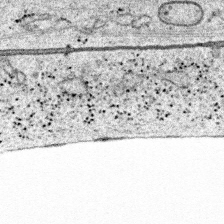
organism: Human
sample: HeLa cells